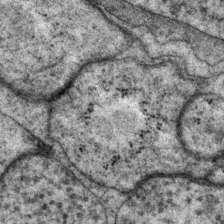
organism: P. pacificus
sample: Pharynx